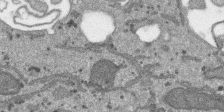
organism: Human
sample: Lung epithelial cells infected with SARS-CoV-2